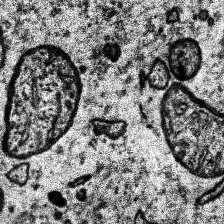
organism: Human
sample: Temporal Lobe